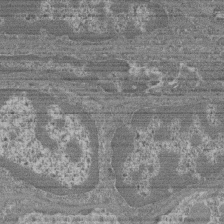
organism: Mouse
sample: Glomerulus